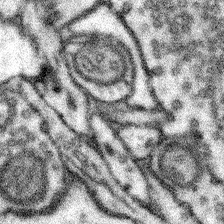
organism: Mouse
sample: Somatosensory cortex neuropil